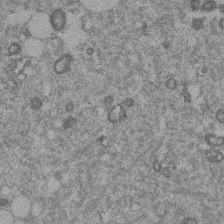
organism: Mouse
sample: Dividing mouse embryo 1 cell stage